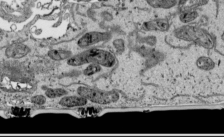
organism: Human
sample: Mitochondria in HCT116 cells